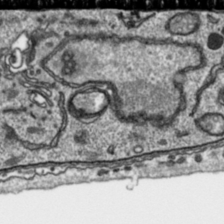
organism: Toxoplasma gondii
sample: Parasites in a vacuole inside a host cell